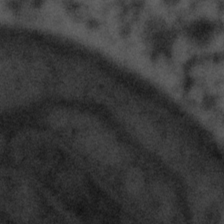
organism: Tuwongella immobilis